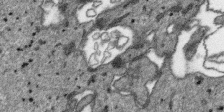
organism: Human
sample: Lung epithelial cells, uninfected (mock) control